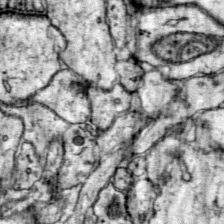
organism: Mouse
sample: Primary visual cortex